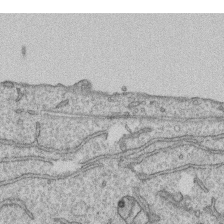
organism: Human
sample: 1205lu cells